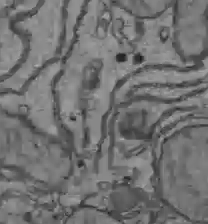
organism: C57BL Mouse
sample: Liver